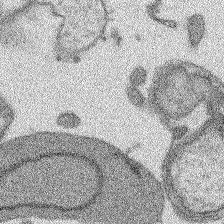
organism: Human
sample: HeLa cells